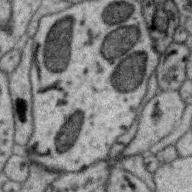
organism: Zebra finch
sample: Brain